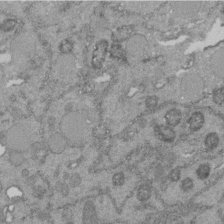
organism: C. elegans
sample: C. elegans embryo early stage